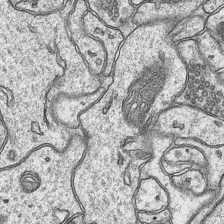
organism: Mouse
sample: CA1 Hippocampus